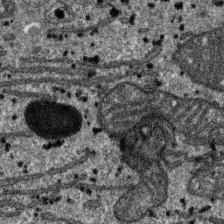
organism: Human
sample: Lung epithelial cells infected with SARS-CoV-2